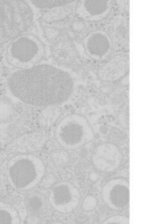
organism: Mouse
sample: Pancreas